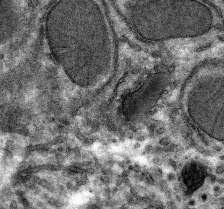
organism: Mouse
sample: Mouse hepatocytes